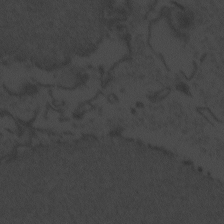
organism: Zebrafish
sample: Macrophage infected with Toxoplasma gondii